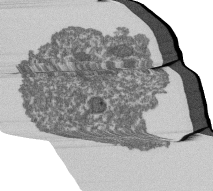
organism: Dictyostelium discoideum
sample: Dictyostelium multivesicular bodies